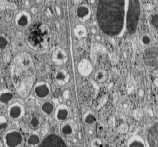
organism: C57BL Mouse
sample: Pancreatic islet